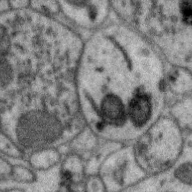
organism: Zebra finch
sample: Brain